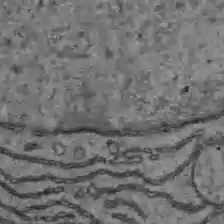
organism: C57BL Mouse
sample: Liver